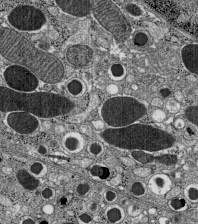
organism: C57BL Mouse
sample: Pancreatic islet